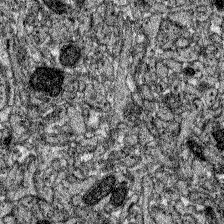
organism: Zebrafish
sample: Larval olfactory bulb